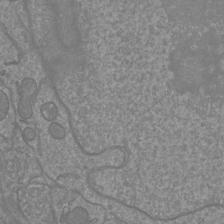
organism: Mouse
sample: Cortical neurons